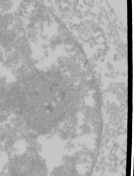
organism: Mouse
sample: Cancer cell death in ED-1 cells